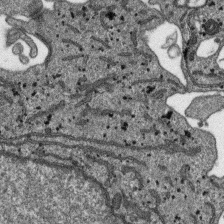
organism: Human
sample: Lung epithelial cells infected with SARS-CoV-2